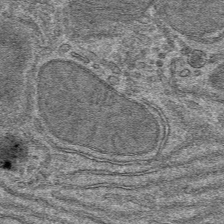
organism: Mouse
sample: Mouse hepatocytes